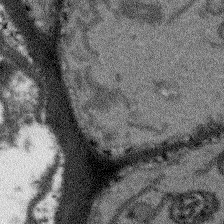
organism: Arabidopsis thaliana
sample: Root tip